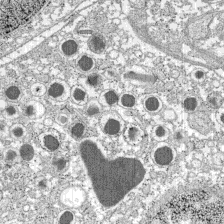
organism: C57BL Mouse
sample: Pancreatic islet